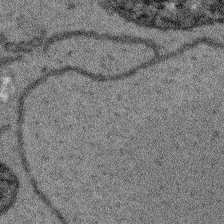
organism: Arabidopsis thaliana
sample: Root tip